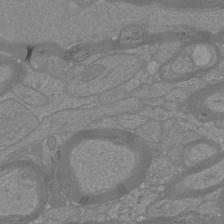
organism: Mouse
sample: Cortical neurons